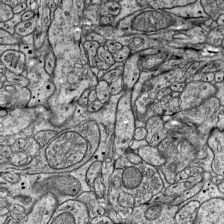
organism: Mouse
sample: Visual Cortex